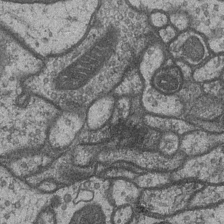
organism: Drosophila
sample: Optic medulla